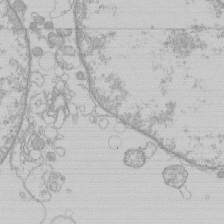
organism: Human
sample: Macrophage cells